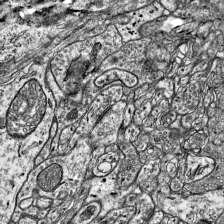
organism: Mouse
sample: Visual Cortex